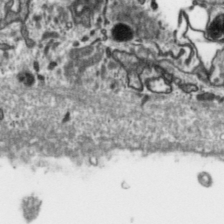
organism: Toxoplasma gondii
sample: Parasites in a vacuole inside a host cell